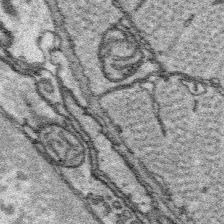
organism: Platynereis dumerilii